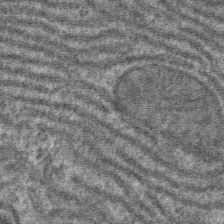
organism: Mouse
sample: Mouse hepatocytes